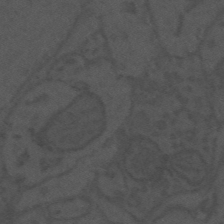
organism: Mouse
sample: Suprachiasmatic nucleus